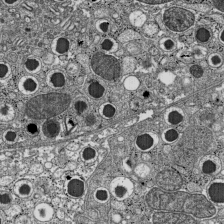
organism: C57BL Mouse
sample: Pancreatic islet